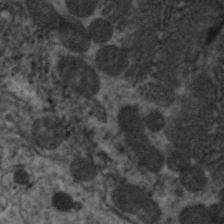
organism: C. elegans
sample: Pharynx